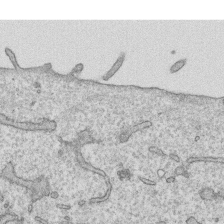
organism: Human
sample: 1205lu cells